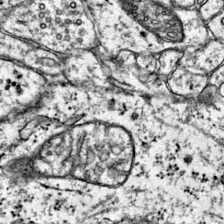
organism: Mouse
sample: Primary visual cortex